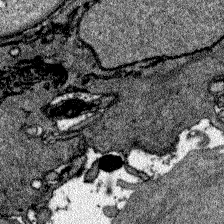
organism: Zebrafish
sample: Larval olfactory bulb